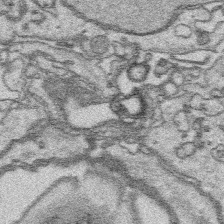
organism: Platynereis dumerilii